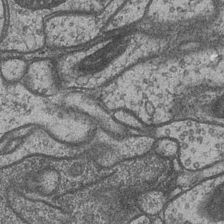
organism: Drosophila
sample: Optic medulla